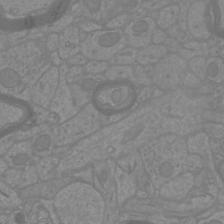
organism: Mouse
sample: Cortical neurons